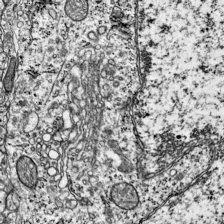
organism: Mouse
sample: Visual Cortex